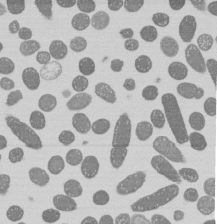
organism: E. coli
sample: Bacterial nucleoid